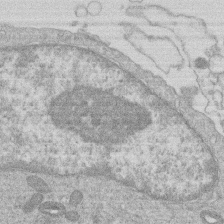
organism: Human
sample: Macrophage cells